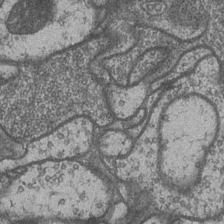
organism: Drosophila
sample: Optic medulla